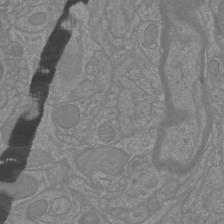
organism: Mouse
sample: Cortical neurons